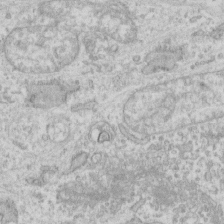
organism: Human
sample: Fibroblast cells